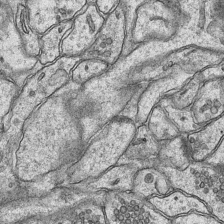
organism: Mouse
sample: CA1 Hippocampus